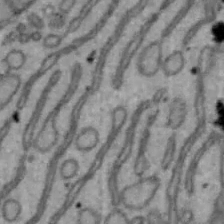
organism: Mouse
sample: Liver